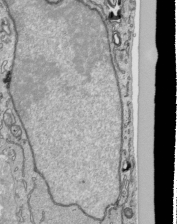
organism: Human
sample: Mitochondria in HCT116 cells